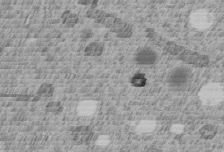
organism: C. elegans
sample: C. elegans embryo early stage